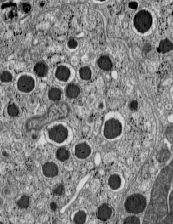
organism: C57BL Mouse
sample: Pancreatic islet